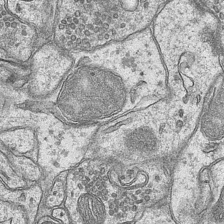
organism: Mouse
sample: CA1 Hippocampus